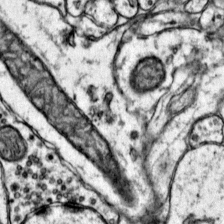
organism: Mouse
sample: Primary visual cortex